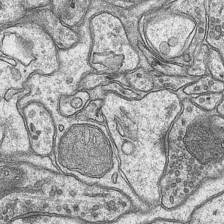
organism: Mouse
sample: CA1 Hippocampus